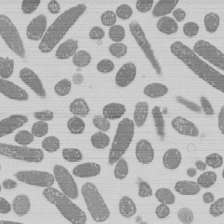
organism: E. coli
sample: Bacterial nucleoid